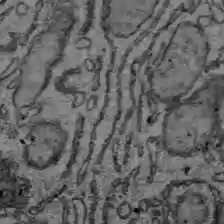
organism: C57BL Mouse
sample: Liver